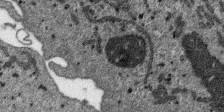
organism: Human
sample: Lung epithelial cells infected with SARS-CoV-2